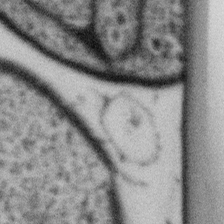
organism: Gemmata obscuriglobus